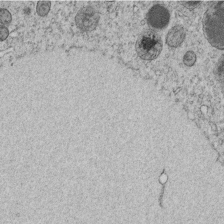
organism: C. elegans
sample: C. elegans embryo early stage